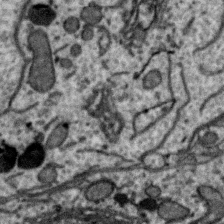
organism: Zebra finch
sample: Brain